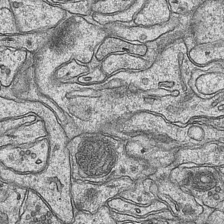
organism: Mouse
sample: CA1 Hippocampus